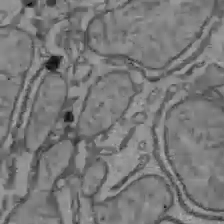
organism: C57BL Mouse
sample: Liver